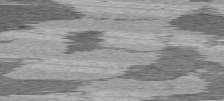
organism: C57BL Mouse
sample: Heart